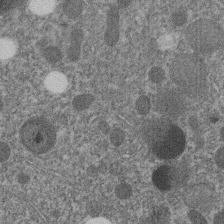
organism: C. elegans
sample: C. elegans embryo early stage